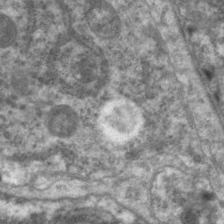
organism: C. elegans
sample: Pharynx